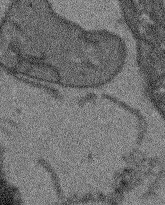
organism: Arabidopsis thaliana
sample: Root tip